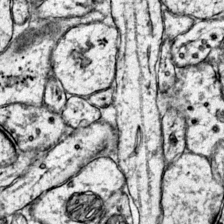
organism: Mouse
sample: Primary visual cortex